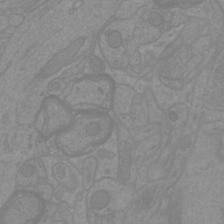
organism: Mouse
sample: Cortical neurons